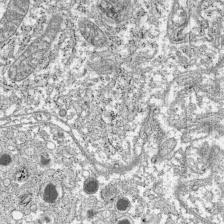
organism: C57BL Mouse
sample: Pancreatic islet